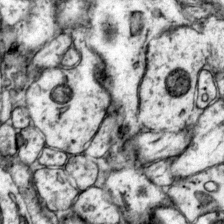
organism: Mouse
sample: Primary visual cortex